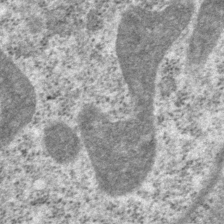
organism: P. pacificus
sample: Pharynx